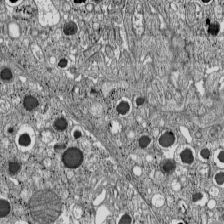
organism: C57BL Mouse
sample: Pancreatic islet